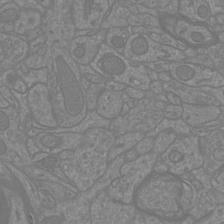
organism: Mouse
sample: Cortical neurons